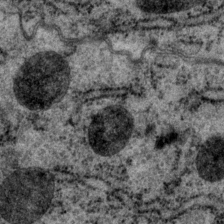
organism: P. pacificus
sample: Pharynx